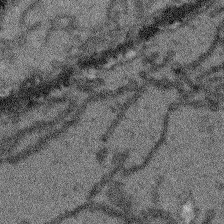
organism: Arabidopsis thaliana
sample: Root tip